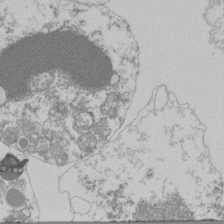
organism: Mouse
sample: Activated Pmel transgenic CD8+ T Cells